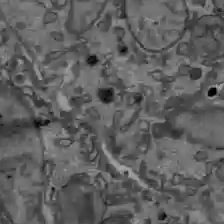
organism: C57BL Mouse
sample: Liver